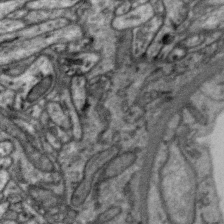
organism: Zebra finch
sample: Brain